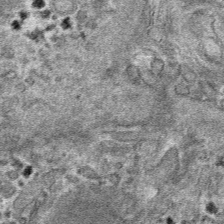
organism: Mouse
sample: Mouse hepatocytes